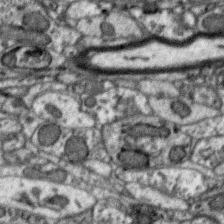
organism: Zebra finch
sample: Brain